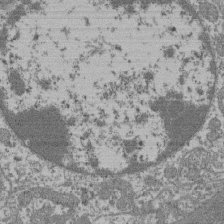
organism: Mouse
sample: Glomerulus